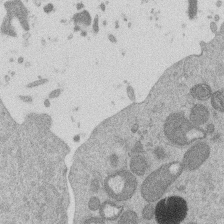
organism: Mouse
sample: Dividing mouse embryo 1 cell stage